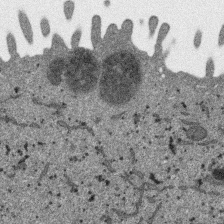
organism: Human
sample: Lung epithelial cells infected with SARS-CoV-2